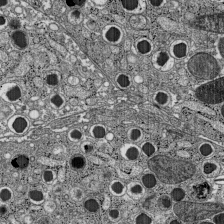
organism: C57BL Mouse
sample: Pancreatic islet